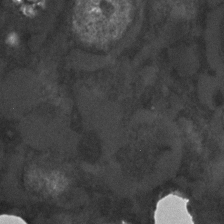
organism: C. elegans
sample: C. elegans embryo